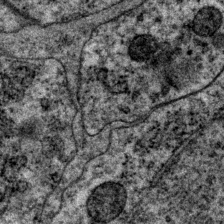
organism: P. pacificus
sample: Pharynx